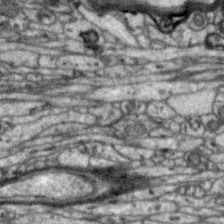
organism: Zebra finch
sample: Brain